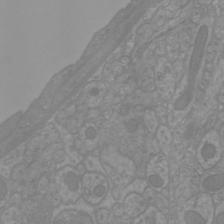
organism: Mouse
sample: Cortical neurons